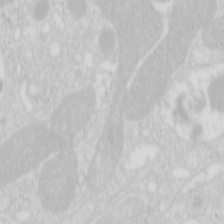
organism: Mouse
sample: Pancreas